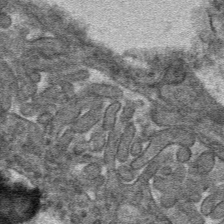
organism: Mouse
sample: Mouse hepatocytes